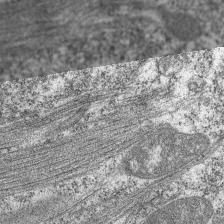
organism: C. elegans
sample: Pharynx